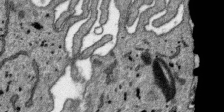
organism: Human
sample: Lung epithelial cells, uninfected (mock) control